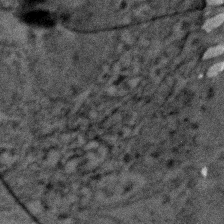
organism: Zebrafish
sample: Zebrafish embryo